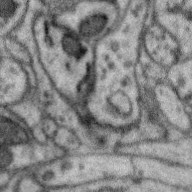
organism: Zebra finch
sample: Brain